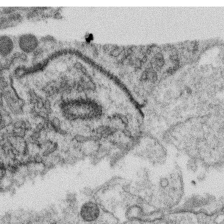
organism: C. elegans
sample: C. elegans oocyte; sperm cells